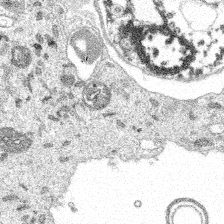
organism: Spongilla lacustris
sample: Multiple